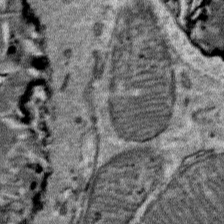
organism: Mouse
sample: Mouse Salivary gland